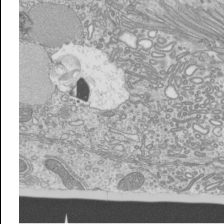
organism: Mouse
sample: Cilia; mouse epididymis